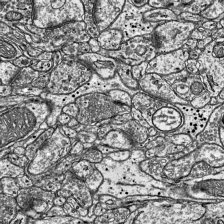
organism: Mouse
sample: Visual Cortex